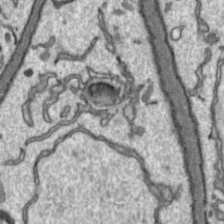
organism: Toxoplasma gondii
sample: Parasites in a vacuole inside a host cell